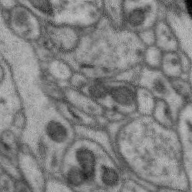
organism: Zebra finch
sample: Brain